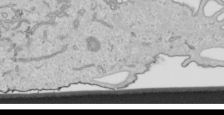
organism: Human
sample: Mitochondria in HCT116 cells